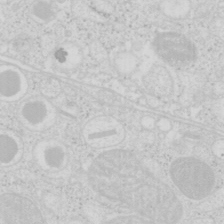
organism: Mouse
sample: Pancreas